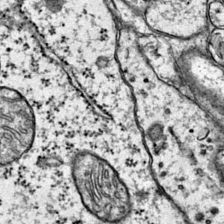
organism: Mouse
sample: Primary visual cortex